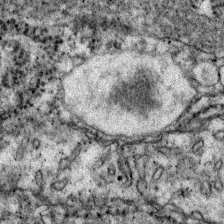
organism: Zebrafish